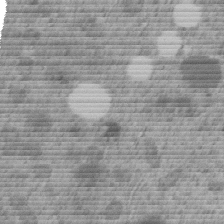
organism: C. elegans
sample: C. elegans embryo early stage